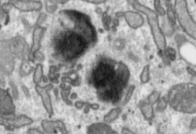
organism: Toxoplasma gondii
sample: Parasites in a vacuole inside a host cell